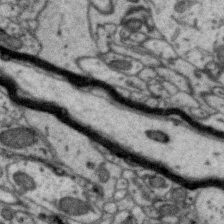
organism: Zebra finch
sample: Brain